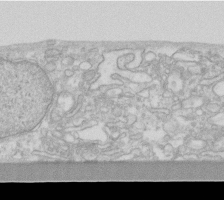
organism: Human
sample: Fibroblast cells